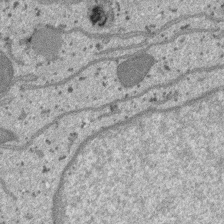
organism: Human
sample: Lung epithelial cells infected with SARS-CoV-2